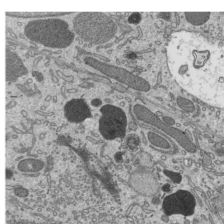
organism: Mouse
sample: Mouse epididymis efferent ductule cilia